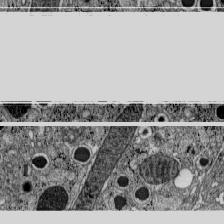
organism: C57BL Mouse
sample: Pancreatic islet